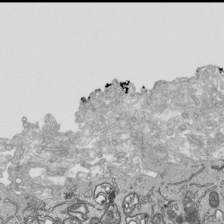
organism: Human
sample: Mitochondria in HCT116 cells